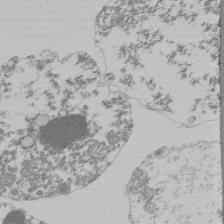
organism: Mouse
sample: Activated Pmel transgenic CD8+ T Cells